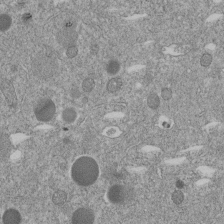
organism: C. elegans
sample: C. elegans embryo early stage